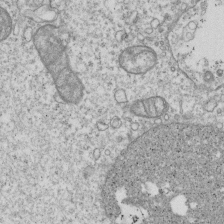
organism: Human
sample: MDA-MB-231 cells